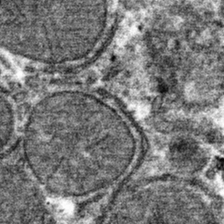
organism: Mouse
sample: Mouse hepatocytes